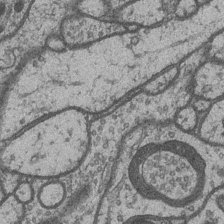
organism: Drosophila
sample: Optic medulla